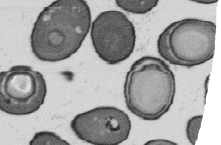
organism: B. subtilis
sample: Bacterial spore